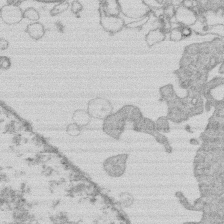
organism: Human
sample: Macrophage cells